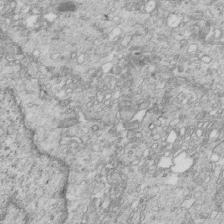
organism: Mouse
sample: Multiciliated cells